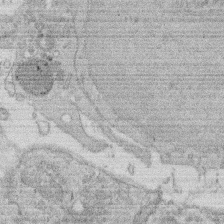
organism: Rat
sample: Salivary granule